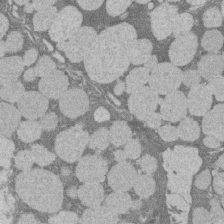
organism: Rat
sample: Salivary granule